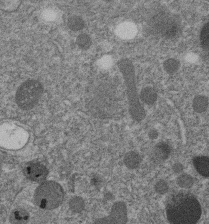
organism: C. elegans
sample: C. elegans embryo early stage